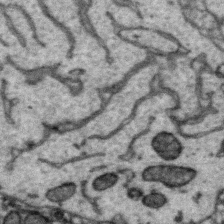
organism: Zebra finch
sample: Brain